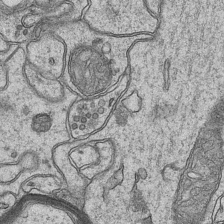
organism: Mouse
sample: CA1 Hippocampus